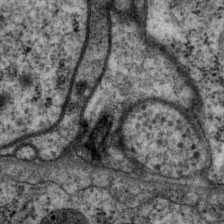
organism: P. pacificus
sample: Pharynx